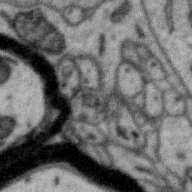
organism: Zebra finch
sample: Brain